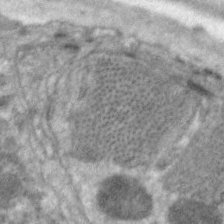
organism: C. elegans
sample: Pharynx